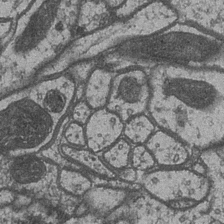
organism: Drosophila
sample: Optic medulla